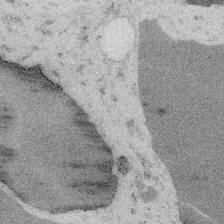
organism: Embia sp.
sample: Silk gland